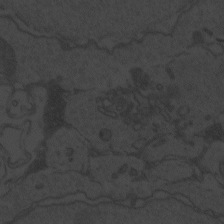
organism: Zebrafish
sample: Macrophage infected with Toxoplasma gondii